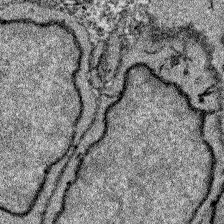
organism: Zebrafish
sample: Larval olfactory bulb